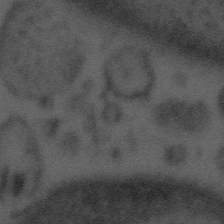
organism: Tuwongella immobilis